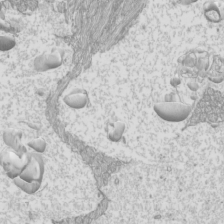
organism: Mouse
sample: Cilia; mouse epididymis